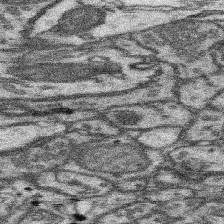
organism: Mouse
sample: Somatosensory cortex neuropil